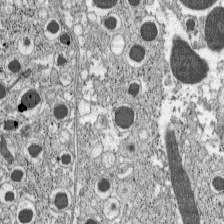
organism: C57BL Mouse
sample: Pancreatic islet